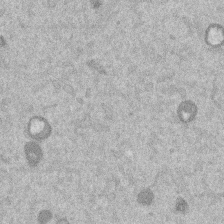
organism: Mouse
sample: Dividing mouse embryo 1 cell stage